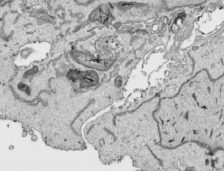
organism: Human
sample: Mitochondria in HCT116 cells